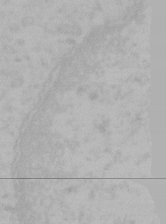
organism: Mouse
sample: Choroid plexus